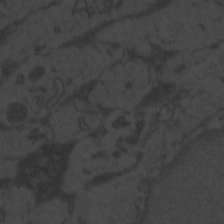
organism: Zebrafish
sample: Macrophage infected with Toxoplasma gondii